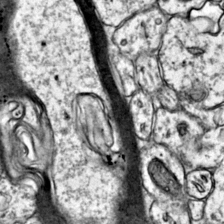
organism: Mouse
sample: Primary visual cortex